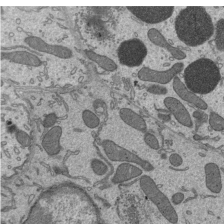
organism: Mouse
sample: Mouse epididymis efferent ductule cilia